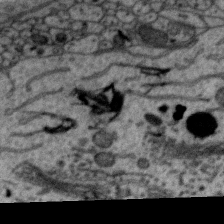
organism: Zebra finch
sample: Brain